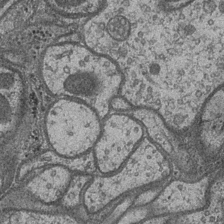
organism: Drosophila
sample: Optic medulla